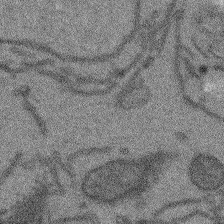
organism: Arabidopsis thaliana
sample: Root tip